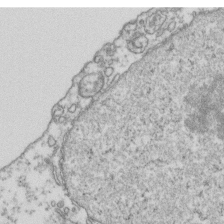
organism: Human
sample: Activated Jurkat CD4+ T cells